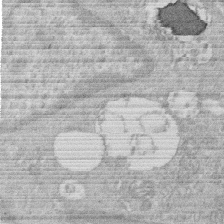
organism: Human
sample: Macrophage cells